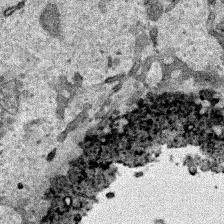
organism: Human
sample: Mitochondria in HCT116 cells